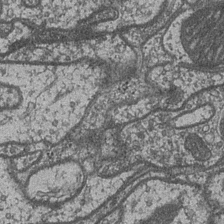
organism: Drosophila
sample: Optic medulla